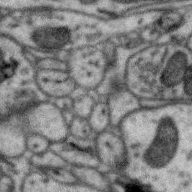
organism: Zebra finch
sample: Brain